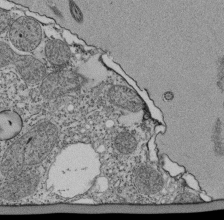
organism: Tetrahymena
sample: Cilia in tetrahymena